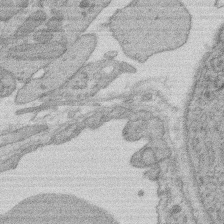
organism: Rat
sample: Salivary granule